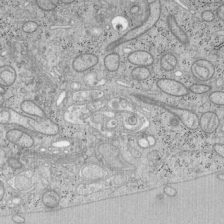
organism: Mouse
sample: OT-I killer T cells with ID8 ovarian cancer cells